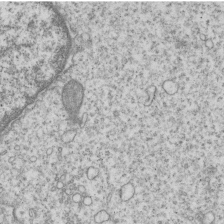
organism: Human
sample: MDA-MB-231 cells